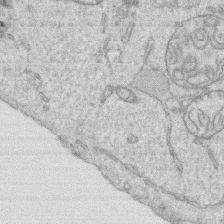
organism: Human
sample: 1205lu cells